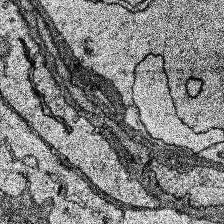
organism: Human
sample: Temporal Lobe